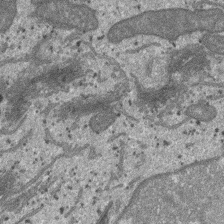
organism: Human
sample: Lung epithelial cells infected with SARS-CoV-2